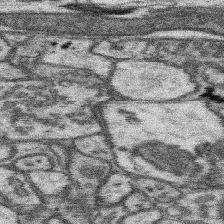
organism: Mouse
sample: Somatosensory cortex neuropil